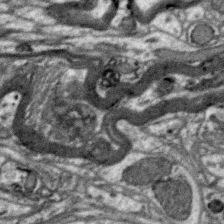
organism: Zebra finch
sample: Brain